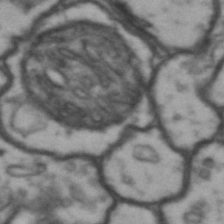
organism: Drosophila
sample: Brain